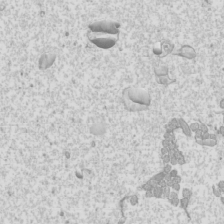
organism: Mouse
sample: Cilia; mouse epididymis